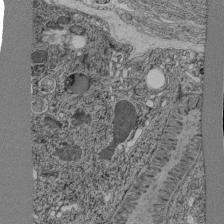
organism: C. elegans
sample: C. elegans pharynx